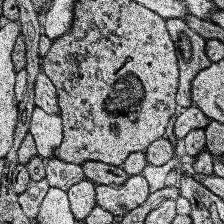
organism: Human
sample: Temporal Lobe